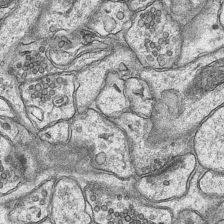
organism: Mouse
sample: CA1 Hippocampus